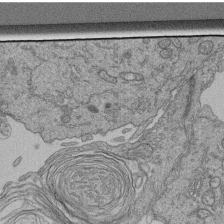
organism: Human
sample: Retinal organoid Rod and Cone cells